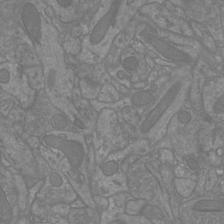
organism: Mouse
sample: Cortical neurons